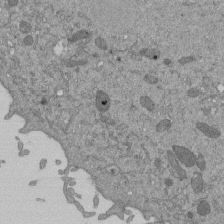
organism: Mouse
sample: ED-1 cell nuclei; centrioles